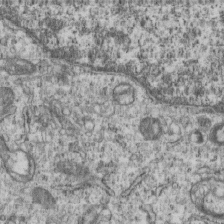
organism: Human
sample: MDA-MB-231 cells